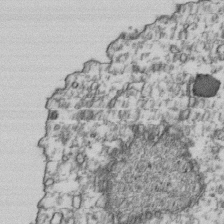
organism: Human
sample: Activated Jurkat CD4+ T cells